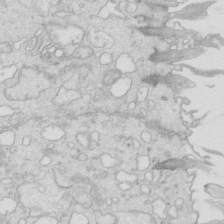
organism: Mouse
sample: Multiciliated cells